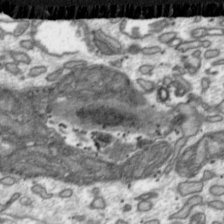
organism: Toxoplasma gondii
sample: Parasites in a vacuole inside a host cell